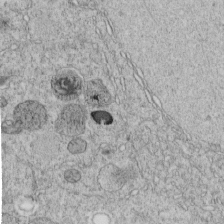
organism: C. elegans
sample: C. elegans embryo early stage